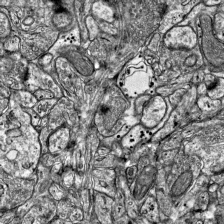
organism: Mouse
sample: Visual Cortex